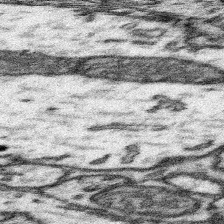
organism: Mouse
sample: Somatosensory cortex neuropil